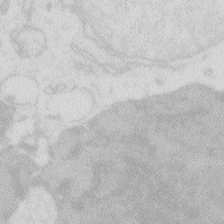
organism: Zebrafish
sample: Macrophage